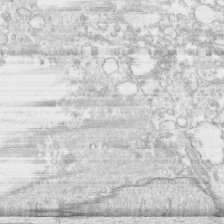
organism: Human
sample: CRL-1474